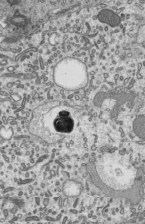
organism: Mouse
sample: Mouse epididymis efferent ductule cilia